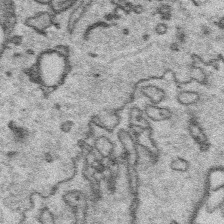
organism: Platynereis dumerilii